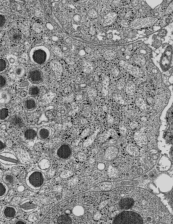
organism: C57BL Mouse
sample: Pancreatic islet